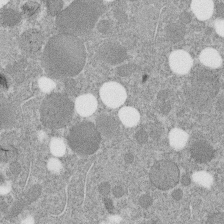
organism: C. elegans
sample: C. elegans embryo early stage